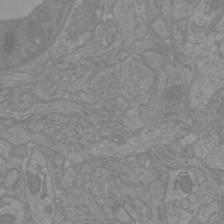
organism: Mouse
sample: Cortical neurons